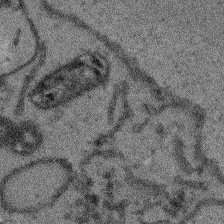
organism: Arabidopsis thaliana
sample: Root tip